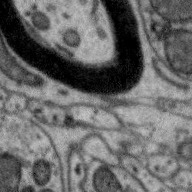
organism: Zebra finch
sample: Brain